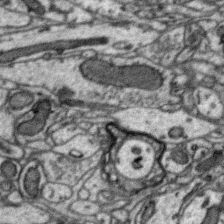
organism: Zebra finch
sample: Brain